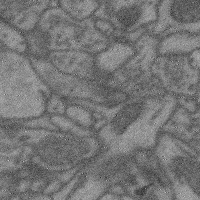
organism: Mouse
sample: Cerebral cortex